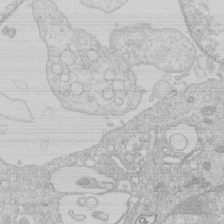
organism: Human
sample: Macrophage cells